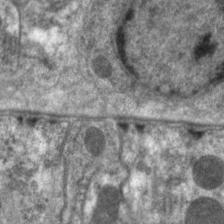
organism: C. elegans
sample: Pharynx